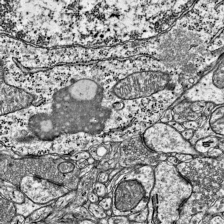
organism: Mouse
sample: Visual Cortex